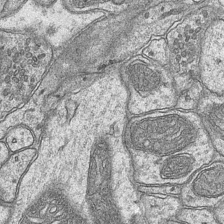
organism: Mouse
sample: CA1 Hippocampus